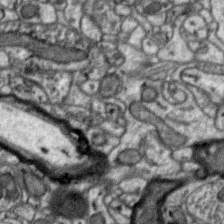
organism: Zebra finch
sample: Brain